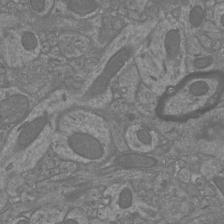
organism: Mouse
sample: Cortical neurons